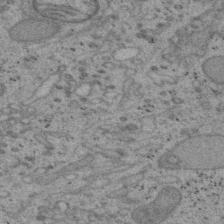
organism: Human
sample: HeLa cells